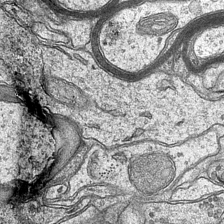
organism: Mouse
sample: CA1 Hippocampus